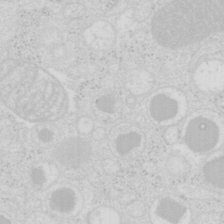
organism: Mouse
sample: Pancreas